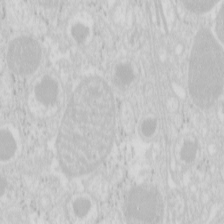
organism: Mouse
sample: Pancreas